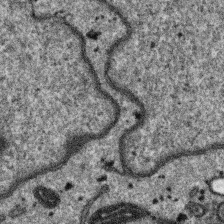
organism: Human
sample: Lung epithelial cells infected with SARS-CoV-2